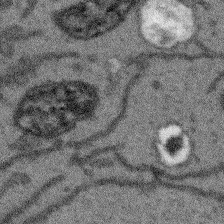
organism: Arabidopsis thaliana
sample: Root tip